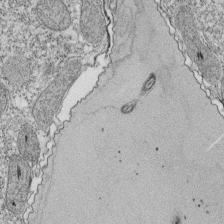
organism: Tetrahymena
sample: Cilia in tetrahymena